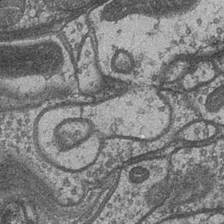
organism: Drosophila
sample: Optic medulla